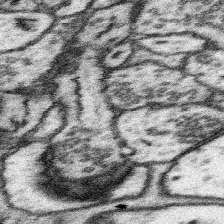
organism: Mouse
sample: Somatosensory cortex neuropil